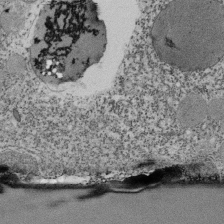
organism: Tetrahymena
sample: Cilia in tetrahymena